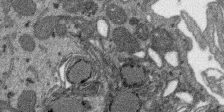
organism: Human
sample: Lung epithelial cells infected with SARS-CoV-2